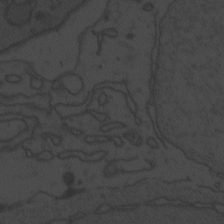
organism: Zebrafish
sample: Macrophage infected with Toxoplasma gondii